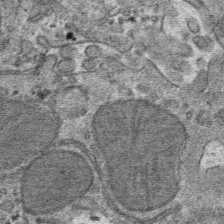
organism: Mouse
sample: Mouse hepatocytes